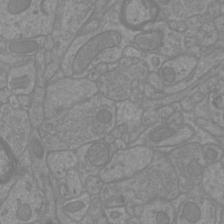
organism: Mouse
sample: Cortical neurons